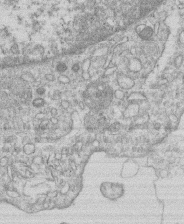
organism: Human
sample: Macrophage cells